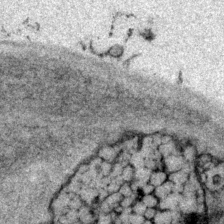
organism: P. pacificus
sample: Pharynx